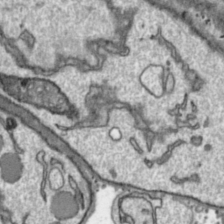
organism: Toxoplasma gondii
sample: Parasites in a vacuole inside a host cell